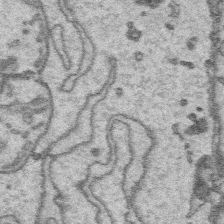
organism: Platynereis dumerilii